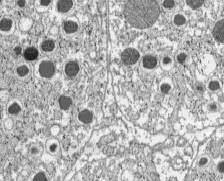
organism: C57BL Mouse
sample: Pancreatic islet